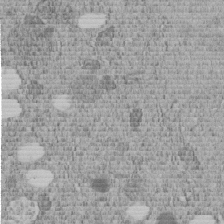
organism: C. elegans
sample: C. elegans embryo early stage